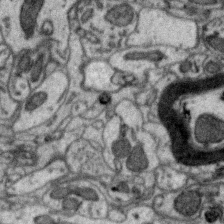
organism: Zebra finch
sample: Brain